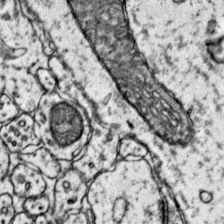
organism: Mouse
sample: Primary visual cortex